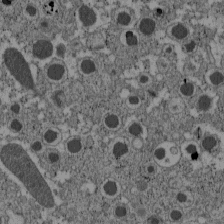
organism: C57BL Mouse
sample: Pancreatic islet